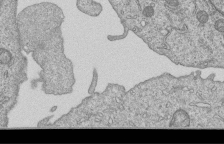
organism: Human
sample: MDA-MB-231 cells